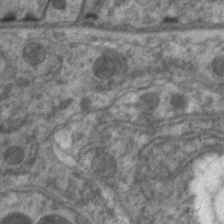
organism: C. elegans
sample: Pharynx